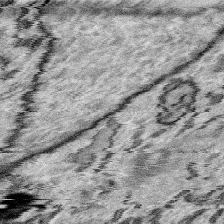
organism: Human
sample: HeLa cells